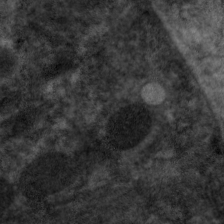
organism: C. elegans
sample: Pharynx